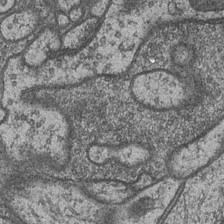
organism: Drosophila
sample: Optic medulla